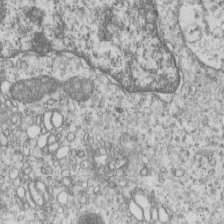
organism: Human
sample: MDA-MB-231 cells